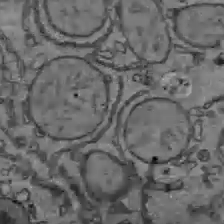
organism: C57BL Mouse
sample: Liver